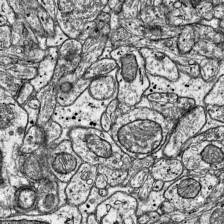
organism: Mouse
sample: Visual Cortex